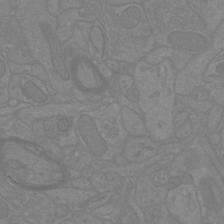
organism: Mouse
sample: Cortical neurons